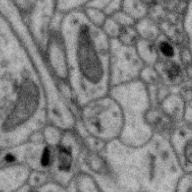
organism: Zebra finch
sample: Brain